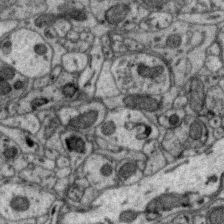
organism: Zebra finch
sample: Brain